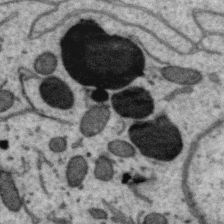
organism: Zebra finch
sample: Brain